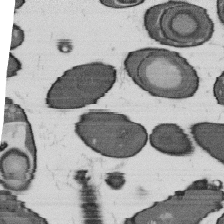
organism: B. subtilis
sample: Bacterial spore